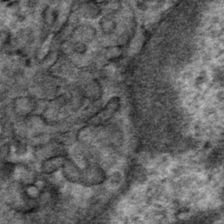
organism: Mouse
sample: Mouse hepatocytes